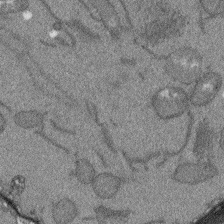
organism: Arabidopsis thaliana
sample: Root tip